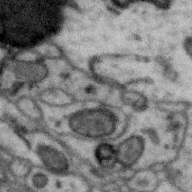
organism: Zebra finch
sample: Brain